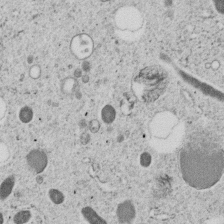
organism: C. elegans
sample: C. elegans embryo early stage